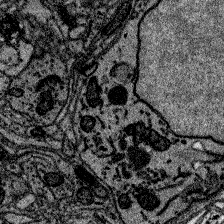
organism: Zebrafish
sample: Larval olfactory bulb